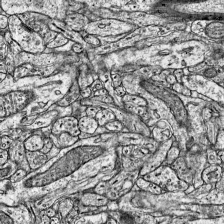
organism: Mouse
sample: Visual Cortex